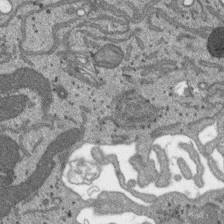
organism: Human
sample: Lung epithelial cells infected with SARS-CoV-2